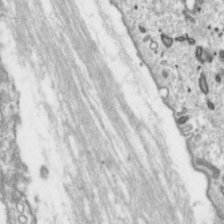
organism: Toxoplasma gondii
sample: Parasites in a vacuole inside a host cell